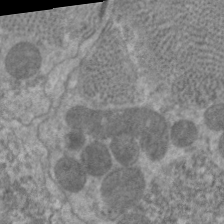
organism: C. elegans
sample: Pharynx